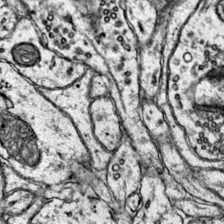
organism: Mouse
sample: Primary visual cortex